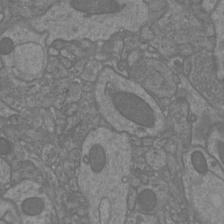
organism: Mouse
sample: Cortical neurons